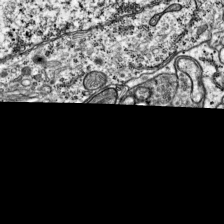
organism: Mouse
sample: Visual Cortex